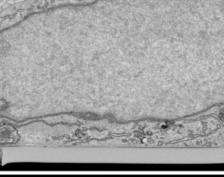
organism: Human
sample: Mitochondria in HCT116 cells